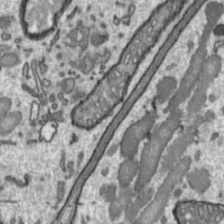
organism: Toxoplasma gondii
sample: Parasites in a vacuole inside a host cell